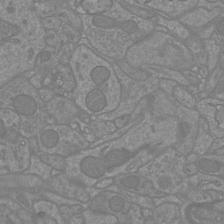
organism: Mouse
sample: Cortical neurons